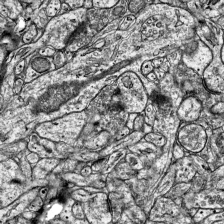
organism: Mouse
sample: Visual Cortex